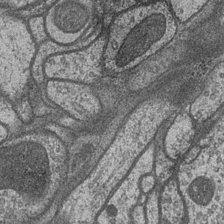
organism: Drosophila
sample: Optic medulla